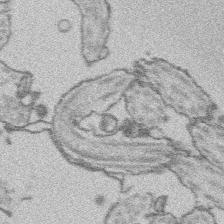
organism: Platynereis dumerilii